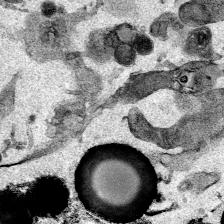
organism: Mouse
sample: Cancer cell death in ED-1 cells